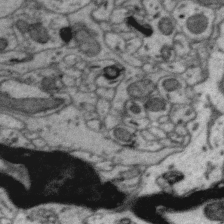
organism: Zebra finch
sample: Brain